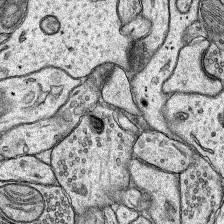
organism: Rat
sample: Hippocampus